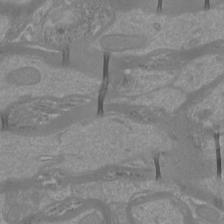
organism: Mouse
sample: Cortical neurons